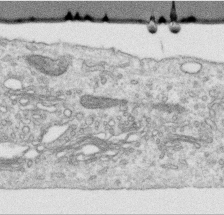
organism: Human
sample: Centriole in RPE cells